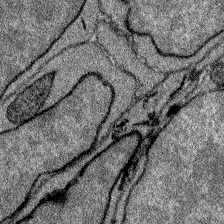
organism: Zebrafish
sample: Larval olfactory bulb